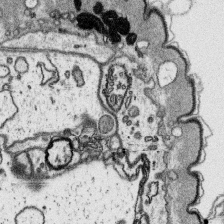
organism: Platynereis dumerilii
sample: Parapodia